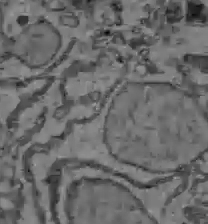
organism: C57BL Mouse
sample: Liver